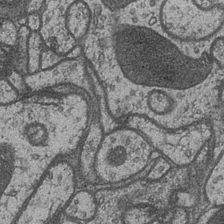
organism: Drosophila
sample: Optic medulla